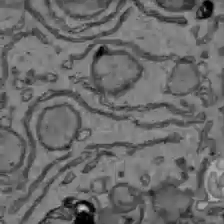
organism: C57BL Mouse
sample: Liver